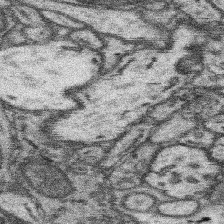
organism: Mouse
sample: Somatosensory cortex neuropil